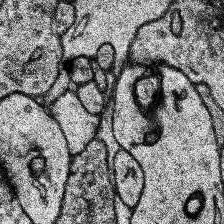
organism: Human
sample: Temporal Lobe